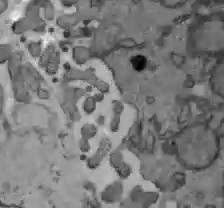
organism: C57BL Mouse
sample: Liver